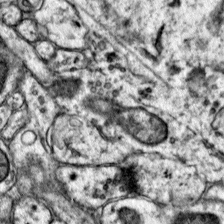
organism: Mouse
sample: Primary visual cortex